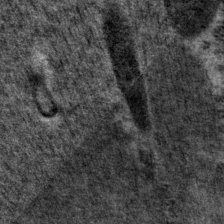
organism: P. pacificus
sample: Pharynx